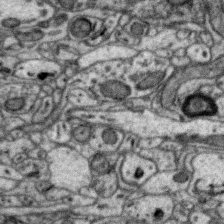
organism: Zebra finch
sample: Brain